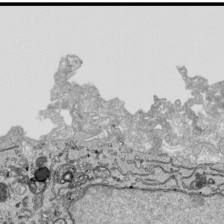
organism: Human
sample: Mitochondria in HCT116 cells